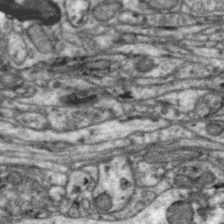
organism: Zebra finch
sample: Brain